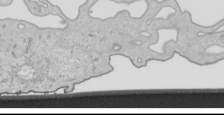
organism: Human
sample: Mitochondria in HCT116 cells